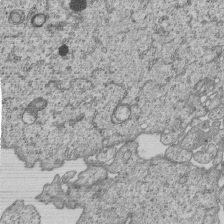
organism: Human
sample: MDA-MB-231 cells